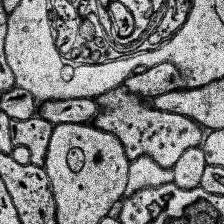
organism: Human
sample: Temporal Lobe